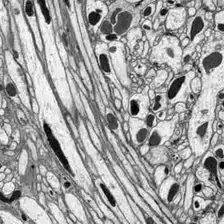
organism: Drosophila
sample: Optic lobe